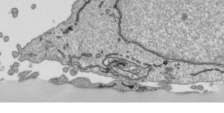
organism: Human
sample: Mitochondria in HCT116 cells